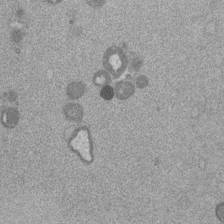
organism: Mouse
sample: Dividing mouse embryo 1 cell stage